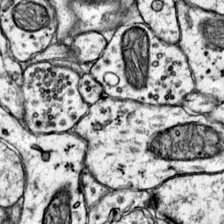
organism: Mouse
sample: Primary visual cortex